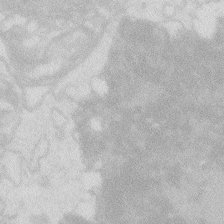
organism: Zebrafish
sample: Macrophage